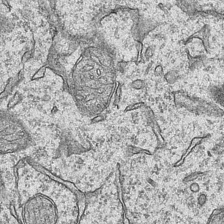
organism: Mouse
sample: CA1 Hippocampus